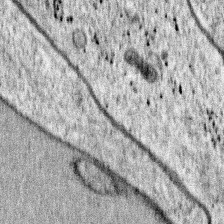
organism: Human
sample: HeLa cells